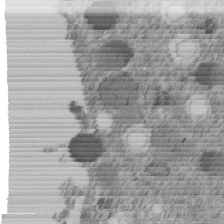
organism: C. elegans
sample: C. elegans embryo early stage